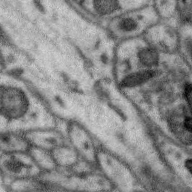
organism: Zebra finch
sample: Brain